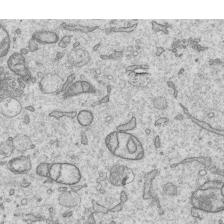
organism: Human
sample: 1205lu cells